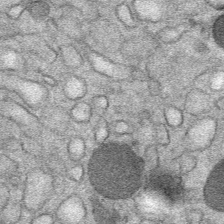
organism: Mouse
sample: Mouse Salivary gland